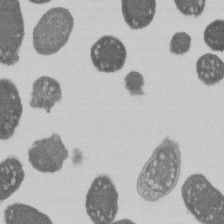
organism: E. coli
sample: Bacterial nucleoid